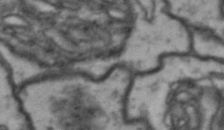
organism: Drosophila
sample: Brain